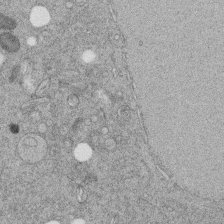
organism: C. elegans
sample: C. elegans embryo early stage